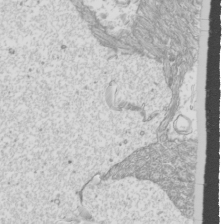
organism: Mouse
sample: Cilia; mouse epididymis